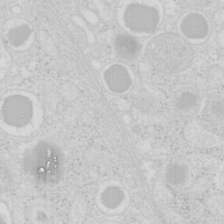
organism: Mouse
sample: Pancreas